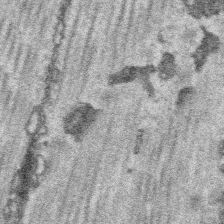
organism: Platynereis dumerilii